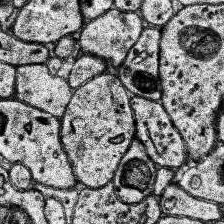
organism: Human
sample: Temporal Lobe